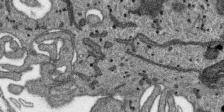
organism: Human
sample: Lung epithelial cells, uninfected (mock) control